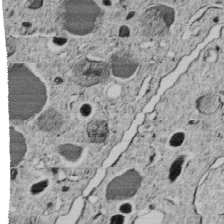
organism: C. elegans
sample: C. elegans embryo early stage